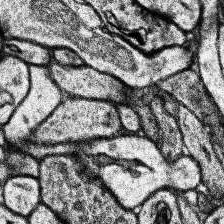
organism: Human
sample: Temporal Lobe